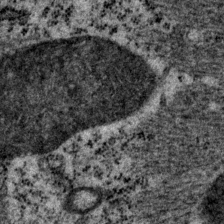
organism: P. pacificus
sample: Pharynx